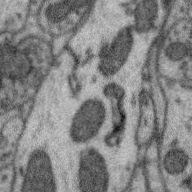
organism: Zebra finch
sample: Brain